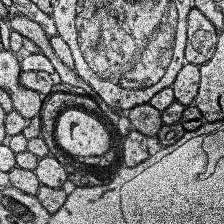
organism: Human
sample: Temporal Lobe